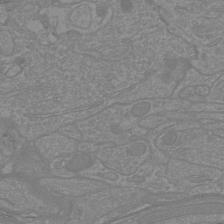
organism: Mouse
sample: Cortical neurons